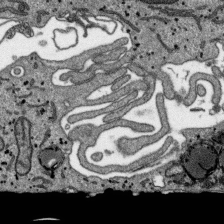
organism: Human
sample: Lung epithelial cells, uninfected (mock) control